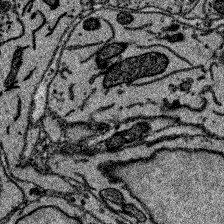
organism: Zebrafish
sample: Larval olfactory bulb